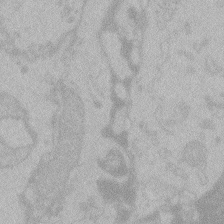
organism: Zebrafish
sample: Macrophage infected with Toxoplasma gondii